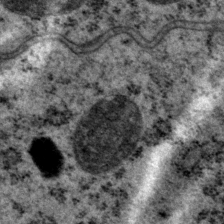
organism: P. pacificus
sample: Pharynx